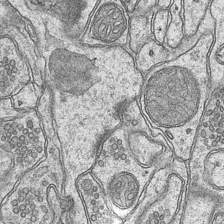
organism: Mouse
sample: CA1 Hippocampus